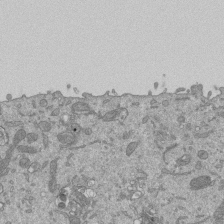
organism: Mouse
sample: ED-1 cell nuclei; centrioles